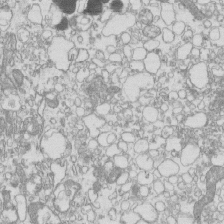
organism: Mouse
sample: Macrophages